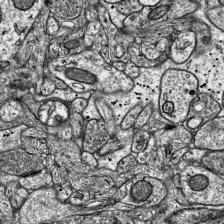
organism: Mouse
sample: Visual Cortex